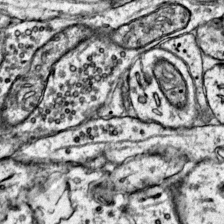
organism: Mouse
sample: Primary visual cortex